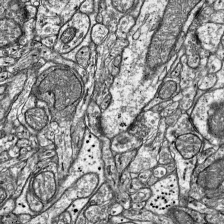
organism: Mouse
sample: Visual Cortex